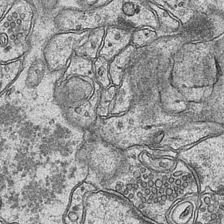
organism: Mouse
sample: CA1 Hippocampus